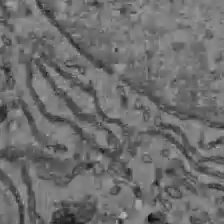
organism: C57BL Mouse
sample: Liver